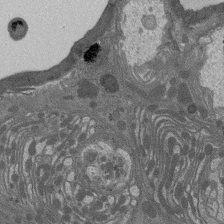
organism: Drosophila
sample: Antenna